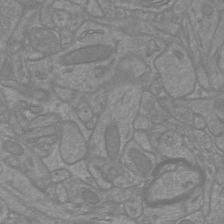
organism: Mouse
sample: Cortical neurons